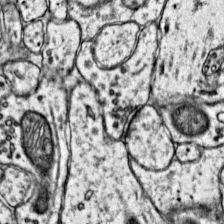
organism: Mouse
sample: Primary visual cortex